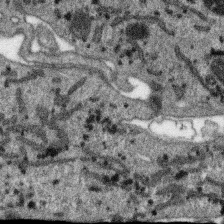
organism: Human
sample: Lung epithelial cells infected with SARS-CoV-2